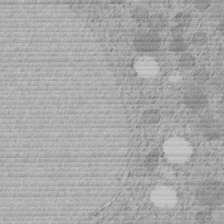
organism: C. elegans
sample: C. elegans embryo early stage